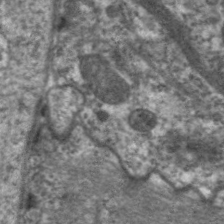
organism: C. elegans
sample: Pharynx